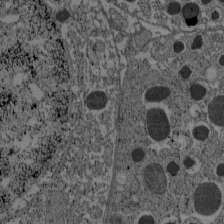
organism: C57BL Mouse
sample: Pancreatic islet